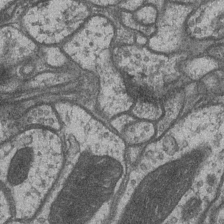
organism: Drosophila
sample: Optic medulla